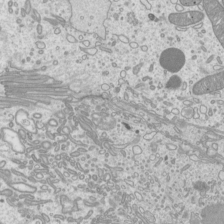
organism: Mouse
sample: Cilia; mouse epididymis